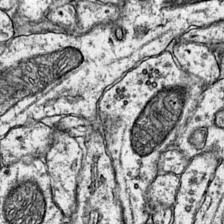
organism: Mouse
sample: Primary visual cortex